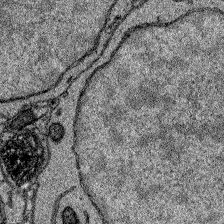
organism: Zebrafish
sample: Larval olfactory bulb